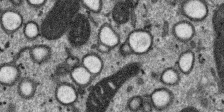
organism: Human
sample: Lung epithelial cells infected with SARS-CoV-2